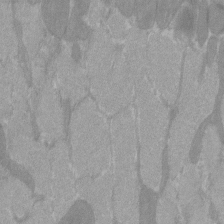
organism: C57BL Mouse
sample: Tibialis anterior muscle cell